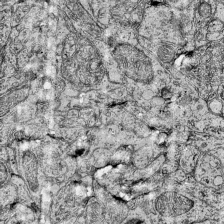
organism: Mouse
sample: Visual Cortex